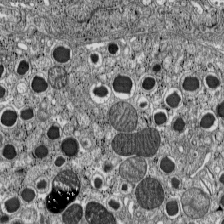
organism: C57BL Mouse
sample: Pancreatic islet